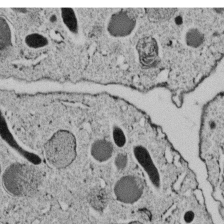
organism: C. elegans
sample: C. elegans embryo early stage